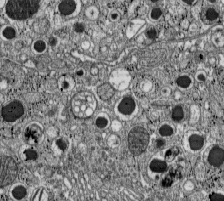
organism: C57BL Mouse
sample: Pancreatic islet